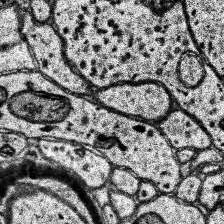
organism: Human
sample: Temporal Lobe